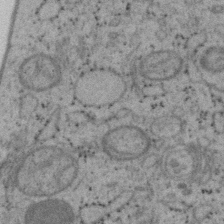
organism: Human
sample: HeLa cells